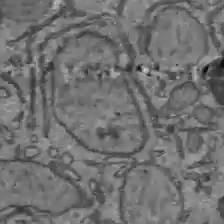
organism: C57BL Mouse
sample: Liver